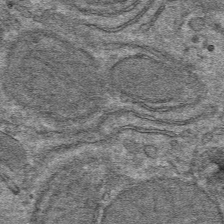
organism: Mouse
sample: Mouse hepatocytes